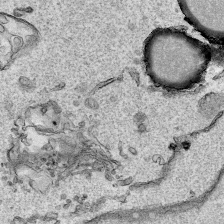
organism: Human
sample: Mitochondria in HCT116 cells